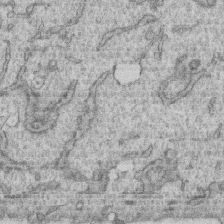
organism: Human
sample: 1205lu cells